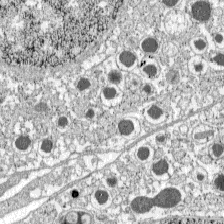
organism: C57BL Mouse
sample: Pancreatic islet